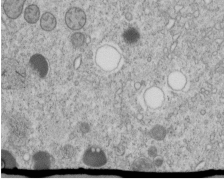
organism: C. elegans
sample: C. elegans embryo early stage